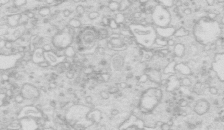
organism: Mouse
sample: Multiciliated cells